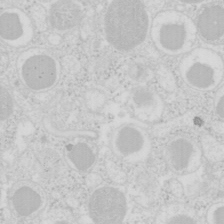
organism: Mouse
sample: Pancreas